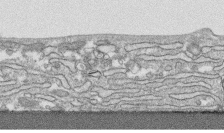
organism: Human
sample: CRL-1474